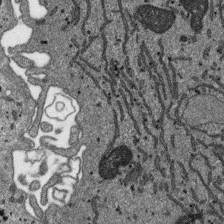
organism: Human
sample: Lung epithelial cells infected with SARS-CoV-2